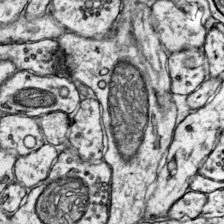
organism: Mouse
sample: Primary visual cortex